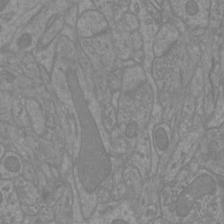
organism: Mouse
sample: Cortical neurons